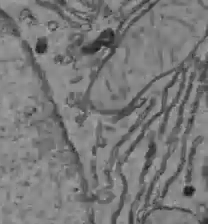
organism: C57BL Mouse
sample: Liver